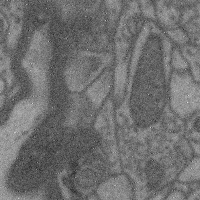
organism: Mouse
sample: Cerebral cortex